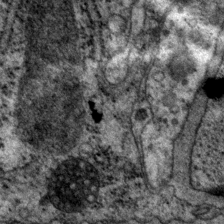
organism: P. pacificus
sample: Pharynx